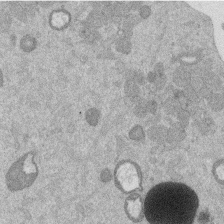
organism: Mouse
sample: Dividing mouse embryo 1 cell stage